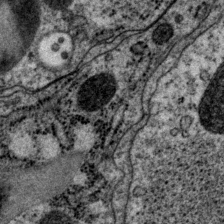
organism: P. pacificus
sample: Pharynx